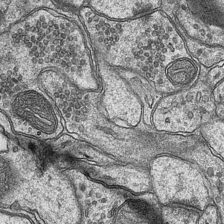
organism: Mouse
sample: CA1 Hippocampus